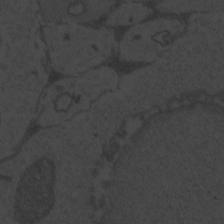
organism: Zebrafish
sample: Macrophage infected with Toxoplasma gondii